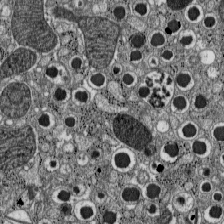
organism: C57BL Mouse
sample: Pancreatic islet